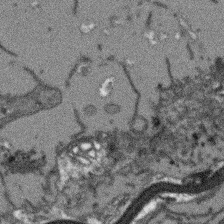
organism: Arabidopsis thaliana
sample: Root tip